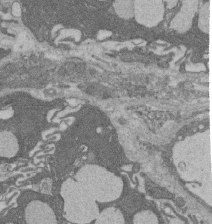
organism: Rat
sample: Salivary granule